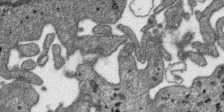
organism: Human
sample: Lung epithelial cells infected with SARS-CoV-2